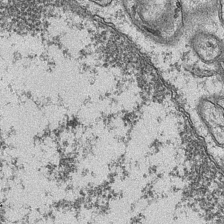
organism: Mouse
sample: CA1 Hippocampus